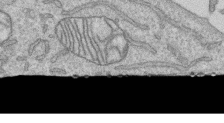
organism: Human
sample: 1205lu cells